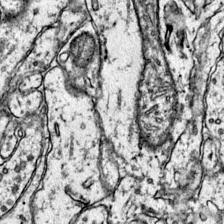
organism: Mouse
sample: Primary visual cortex